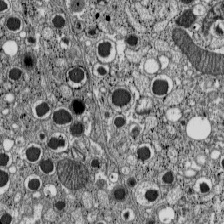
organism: C57BL Mouse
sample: Pancreatic islet